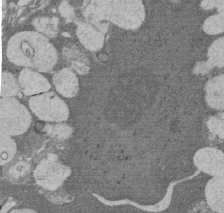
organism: Rat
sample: Salivary granule